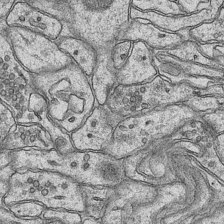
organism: Mouse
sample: CA1 Hippocampus